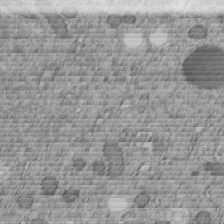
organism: C. elegans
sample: C. elegans embryo early stage